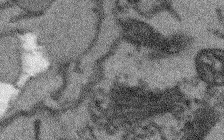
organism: Arabidopsis thaliana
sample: Root tip